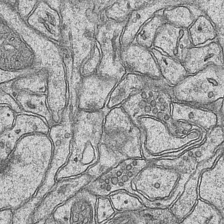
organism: Mouse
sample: CA1 Hippocampus